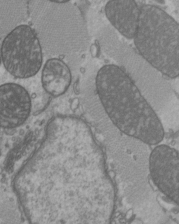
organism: C57BL Mouse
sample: Heart